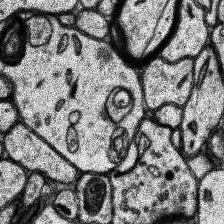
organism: Human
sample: Temporal Lobe